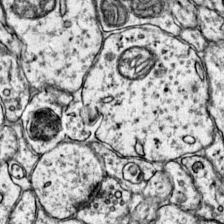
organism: Mouse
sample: Primary visual cortex